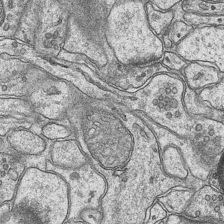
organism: Mouse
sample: CA1 Hippocampus